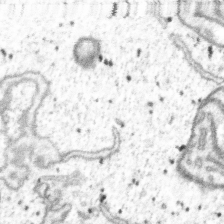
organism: Human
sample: HeLa cells